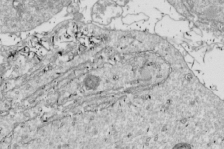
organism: Drosophila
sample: Cell division; meiosis; drosophila spermatocytes